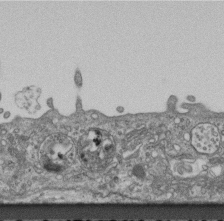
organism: Mouse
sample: Centriole in ependymal cells